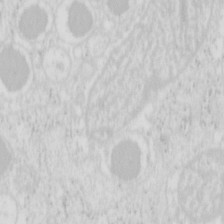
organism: Mouse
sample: Pancreas